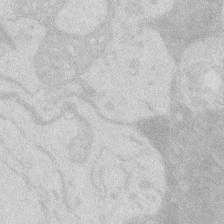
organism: Zebrafish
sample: Macrophage